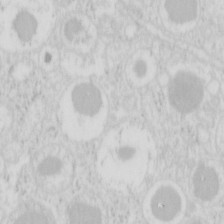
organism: Mouse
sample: Pancreas